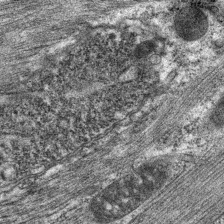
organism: C. elegans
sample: Pharynx